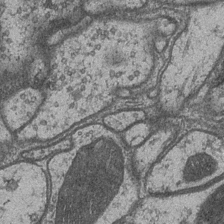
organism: Drosophila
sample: Optic medulla